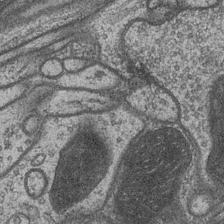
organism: Drosophila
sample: Optic medulla